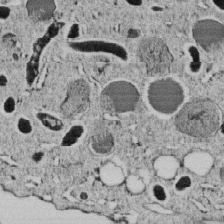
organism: C. elegans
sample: C. elegans embryo early stage